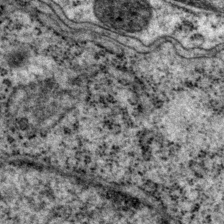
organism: P. pacificus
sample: Pharynx